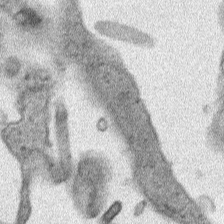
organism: Human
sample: Mitochondria in HCT116 cells